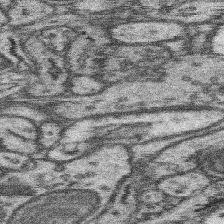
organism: Mouse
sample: Somatosensory cortex neuropil